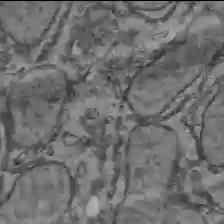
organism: C57BL Mouse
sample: Liver